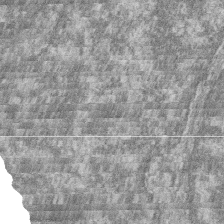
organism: Zebrafish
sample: Cilia; retinal pigment epithelium